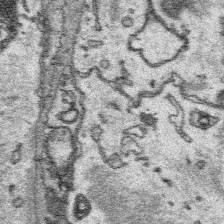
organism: Platynereis dumerilii